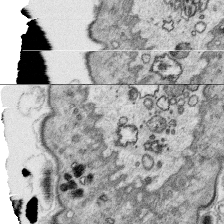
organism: Platynereis dumerilii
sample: Parapodia